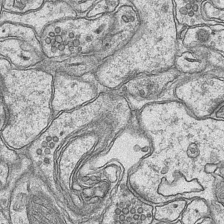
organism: Mouse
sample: CA1 Hippocampus